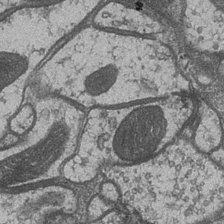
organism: Drosophila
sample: Optic medulla